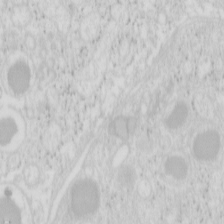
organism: Mouse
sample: Pancreas